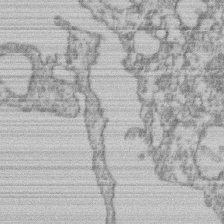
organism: Mouse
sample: T cell stromal cell synapse